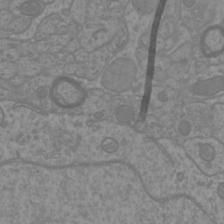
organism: Mouse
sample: Cortical neurons